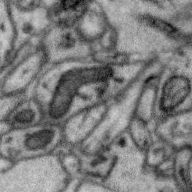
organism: Zebra finch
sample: Brain